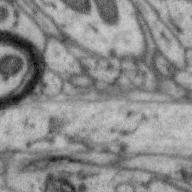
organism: Zebra finch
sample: Brain